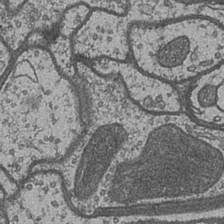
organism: Drosophila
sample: Optic medulla